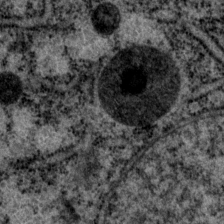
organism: P. pacificus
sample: Pharynx